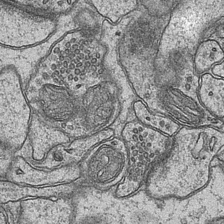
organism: Mouse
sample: CA1 Hippocampus